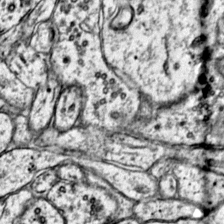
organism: Mouse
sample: Primary visual cortex